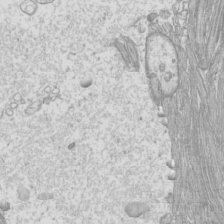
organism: Mouse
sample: Cilia; mouse epididymis